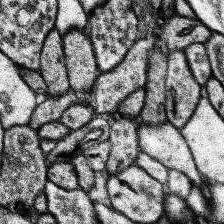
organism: Human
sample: Temporal Lobe